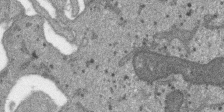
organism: Human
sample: Lung epithelial cells infected with SARS-CoV-2